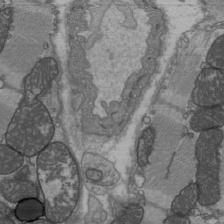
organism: C57BL Mouse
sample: Heart